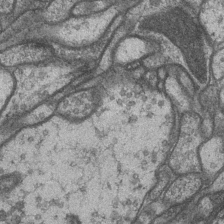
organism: Drosophila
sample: Optic medulla